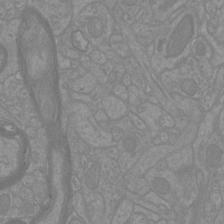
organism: Mouse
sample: Cortical neurons